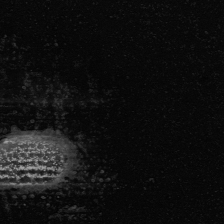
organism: Human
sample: Mitochondria in U2OS cells